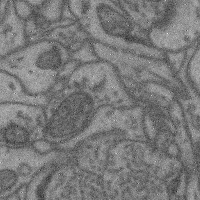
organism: Mouse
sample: Cerebral cortex